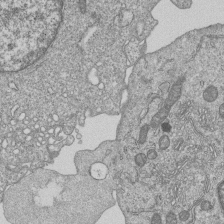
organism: Human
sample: MDA-MB-231 cells